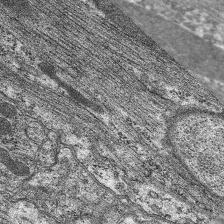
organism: C. elegans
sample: Pharynx